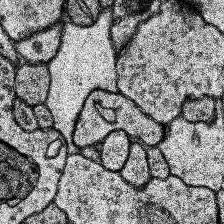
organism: Human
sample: Temporal Lobe